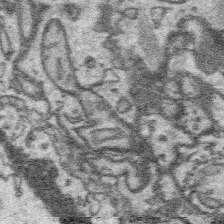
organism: Platynereis dumerilii